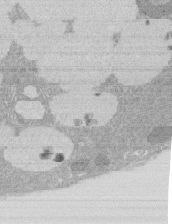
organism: Rat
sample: Salivary granule